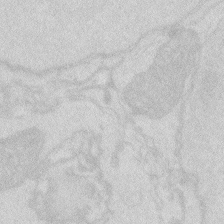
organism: Zebrafish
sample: Macrophage